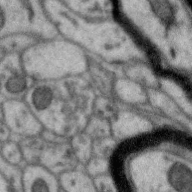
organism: Zebra finch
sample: Brain